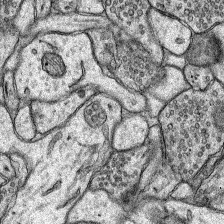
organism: Rat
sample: Hippocampus